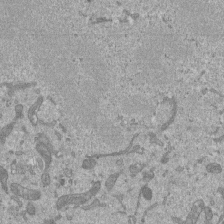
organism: Mouse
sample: ED-1 cell nuclei; centrioles